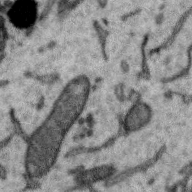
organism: Zebra finch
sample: Brain